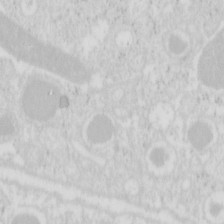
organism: Mouse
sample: Pancreas